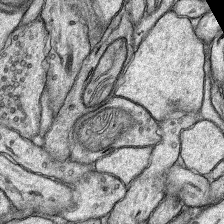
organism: Rat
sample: Hippocampus